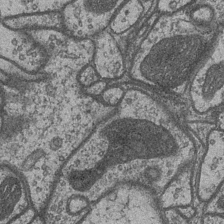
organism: Drosophila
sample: Optic medulla